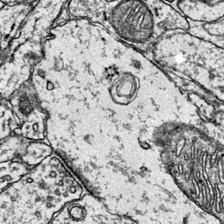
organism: Mouse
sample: Primary visual cortex